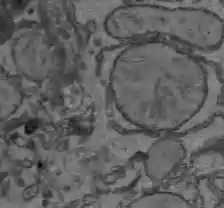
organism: C57BL Mouse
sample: Liver